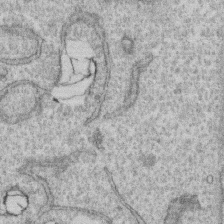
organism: Human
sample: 1205lu cells